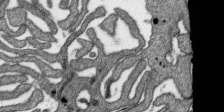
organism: Human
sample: Lung epithelial cells, uninfected (mock) control